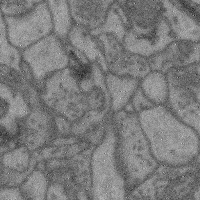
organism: Mouse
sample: Cerebral cortex